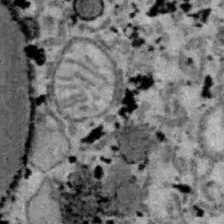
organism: Mouse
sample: Liver from an obese (ob/ob) mouse